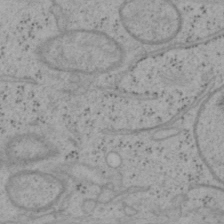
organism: Human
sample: HeLa cells